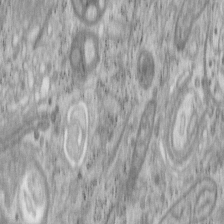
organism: Human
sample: HeLa cells